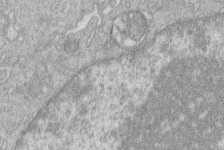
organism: Human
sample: Macrophage cells